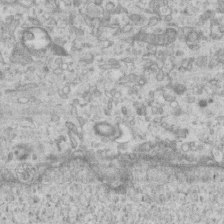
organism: Mouse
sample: Centriole in ependymal cells